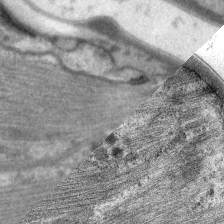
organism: C. elegans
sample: Pharynx